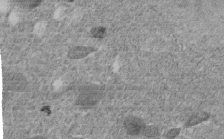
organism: C. elegans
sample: C. elegans embryo early stage